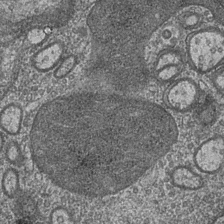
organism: Drosophila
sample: Optic medulla